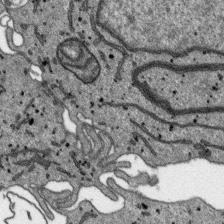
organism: Human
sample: Lung epithelial cells, uninfected (mock) control